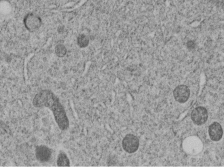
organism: C. elegans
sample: C. elegans embryo early stage